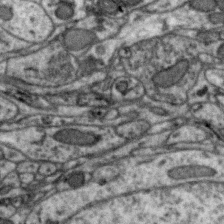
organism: Zebra finch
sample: Brain